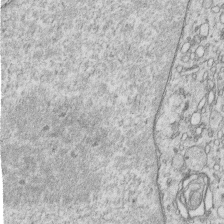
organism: Human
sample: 1205lu cells